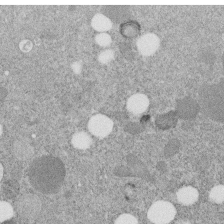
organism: C. elegans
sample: C. elegans embryo early stage